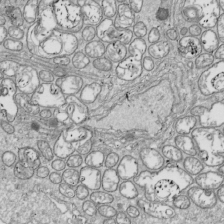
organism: Drosophila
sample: Cell division; meiosis; drosophila spermatocytes